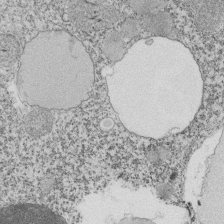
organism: Tetrahymena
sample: Cilia in tetrahymena